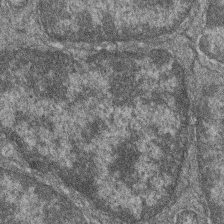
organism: Zebrafish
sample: Cilia; retinal pigment epithelium